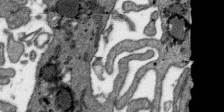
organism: Human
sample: Lung epithelial cells, uninfected (mock) control